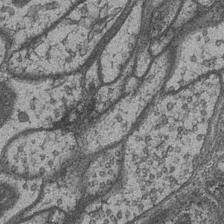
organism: Drosophila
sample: Optic medulla